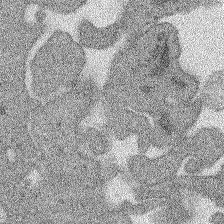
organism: Human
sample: HeLa cells